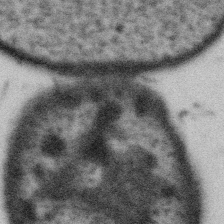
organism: Gemmata obscuriglobus